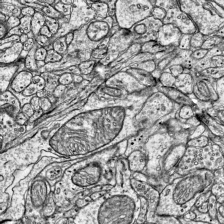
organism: Mouse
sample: Visual Cortex